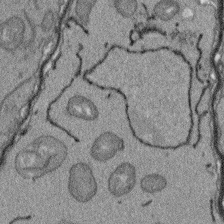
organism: Arabidopsis thaliana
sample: Root tip